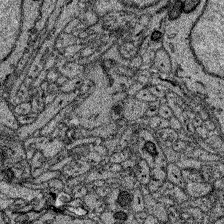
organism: Zebrafish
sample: Larval olfactory bulb